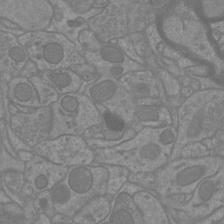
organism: Mouse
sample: Cortical neurons